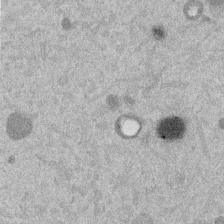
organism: Mouse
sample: Dividing mouse embryo 1 cell stage